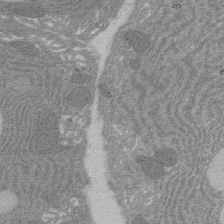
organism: Rat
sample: Salivary granule